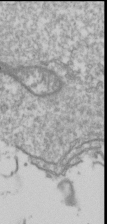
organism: Drosophila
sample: Cell division; meiosis; drosophila spermatocytes